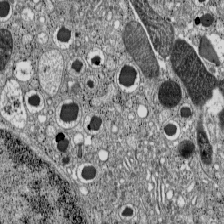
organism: C57BL Mouse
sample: Pancreatic islet